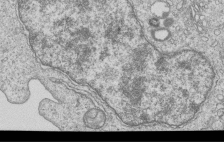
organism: Human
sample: MDA-MB-231 cells